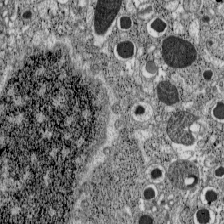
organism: C57BL Mouse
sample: Pancreatic islet